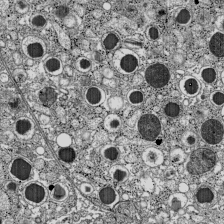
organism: C57BL Mouse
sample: Pancreatic islet